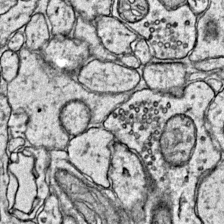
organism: Mouse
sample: Primary visual cortex